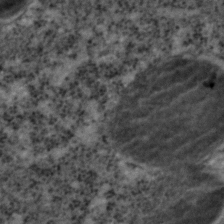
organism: C. elegans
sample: C. elegans embryo